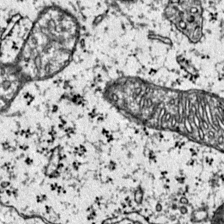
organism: Mouse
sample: Primary visual cortex